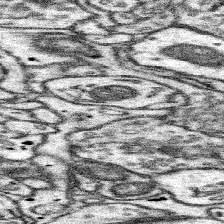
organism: Mouse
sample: Somatosensory cortex neuropil